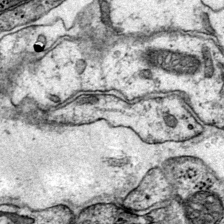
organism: Mouse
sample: Primary visual cortex